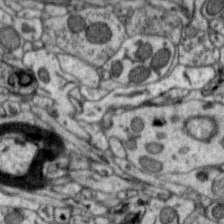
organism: Zebra finch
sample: Brain